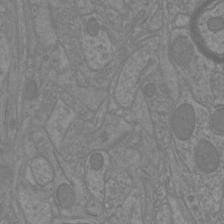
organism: Mouse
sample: Cortical neurons